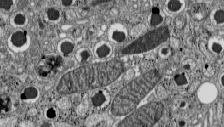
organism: C57BL Mouse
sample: Pancreatic islet